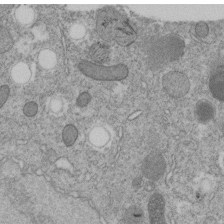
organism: C. elegans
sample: C. elegans embryo early stage